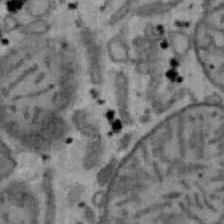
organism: Mouse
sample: Liver